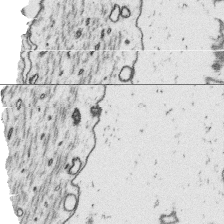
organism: Platynereis dumerilii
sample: Parapodia